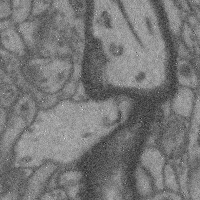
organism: Mouse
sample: Cerebral cortex